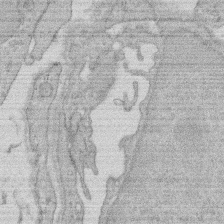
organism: Rat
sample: Salivary granule